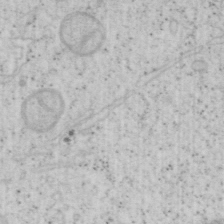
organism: Human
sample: HeLa cells